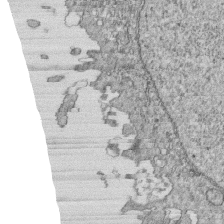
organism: Human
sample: HeLa cell HIV synapse